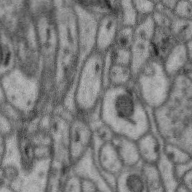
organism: Zebra finch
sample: Brain